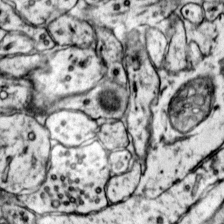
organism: Mouse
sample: Primary visual cortex